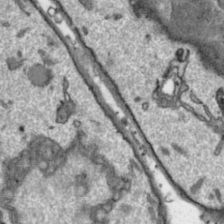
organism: Toxoplasma gondii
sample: Parasites in a vacuole inside a host cell